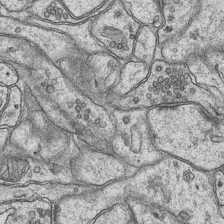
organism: Mouse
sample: CA1 Hippocampus